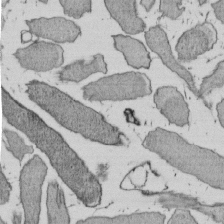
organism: E. coli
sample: Bacterial nucleoid